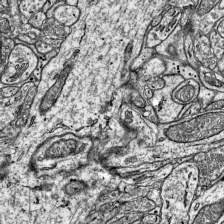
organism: Mouse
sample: Visual Cortex